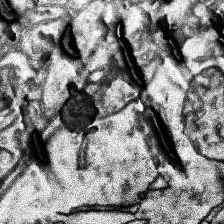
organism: Human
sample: Temporal Lobe